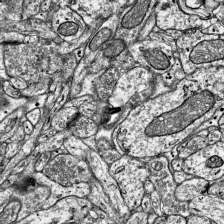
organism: Mouse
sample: Visual Cortex